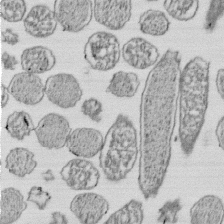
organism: E. coli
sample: Bacterial nucleoid